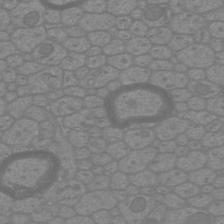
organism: Mouse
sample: Cortical neurons